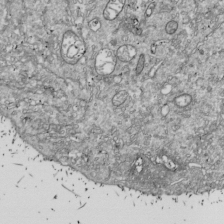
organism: Drosophila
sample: Cell division; meiosis; drosophila spermatocytes